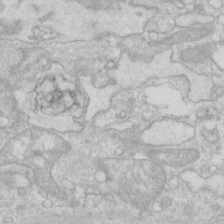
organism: Human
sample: Fibroblast cells